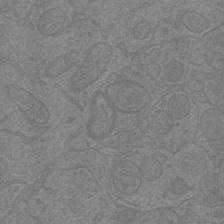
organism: Mouse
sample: Cortical neurons